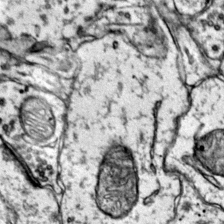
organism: Mouse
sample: Primary visual cortex